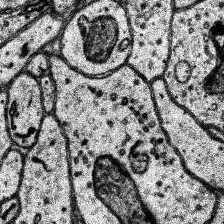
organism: Human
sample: Temporal Lobe